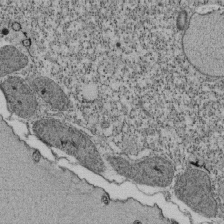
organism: Tetrahymena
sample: Cilia in tetrahymena